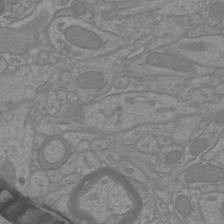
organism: Mouse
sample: Cortical neurons